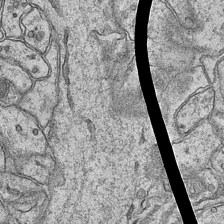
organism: Mouse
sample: CA1 Hippocampus